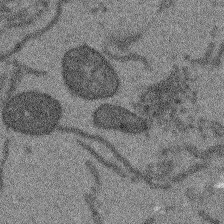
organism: Arabidopsis thaliana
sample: Root tip